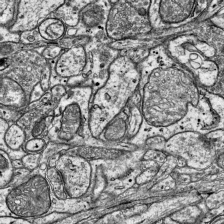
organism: Mouse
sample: Visual Cortex